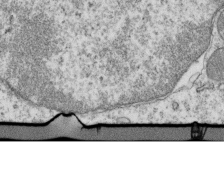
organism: Mouse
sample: Activated OT-1 CD8+ T cells